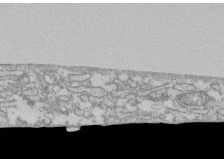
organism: Human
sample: CRL-1474